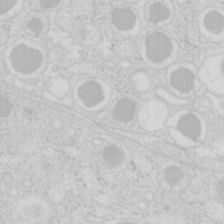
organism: Mouse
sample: Pancreas